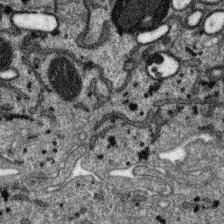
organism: Human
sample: Lung epithelial cells infected with SARS-CoV-2